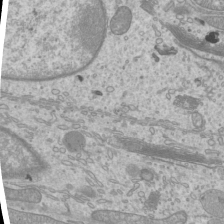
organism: Mouse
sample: Cilia; mouse epididymis